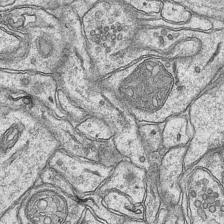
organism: Mouse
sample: CA1 Hippocampus